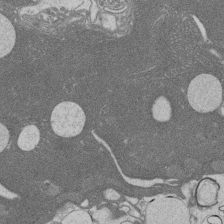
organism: Rat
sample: Salivary granule